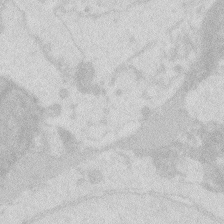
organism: Zebrafish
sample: Macrophage